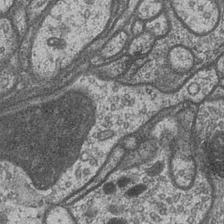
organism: Drosophila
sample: Optic medulla